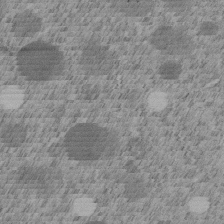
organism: C. elegans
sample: C. elegans embryo early stage